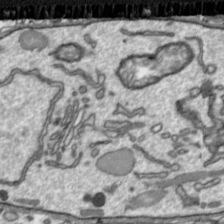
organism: Toxoplasma gondii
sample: Parasites in a vacuole inside a host cell